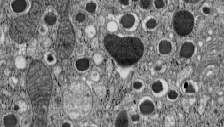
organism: C57BL Mouse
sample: Pancreatic islet